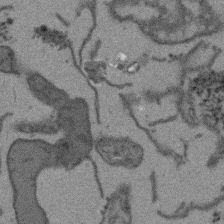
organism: Arabidopsis thaliana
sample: Root tip